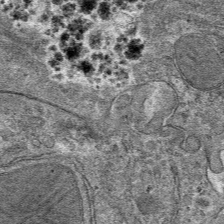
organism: Mouse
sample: Mouse hepatocytes